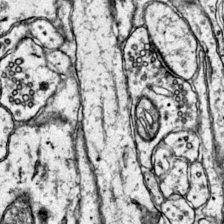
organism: Mouse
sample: Primary visual cortex